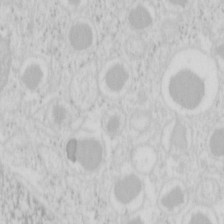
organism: Mouse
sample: Pancreas